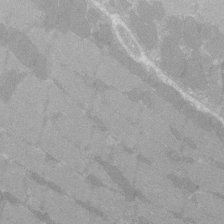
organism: C57BL Mouse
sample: Tibialis anterior muscle cell